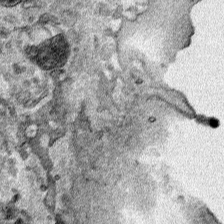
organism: Human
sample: Mitochondria in HCT116 cells